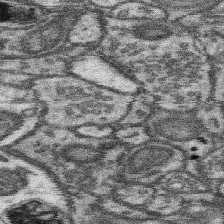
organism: Mouse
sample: Somatosensory cortex neuropil